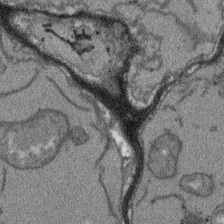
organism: Arabidopsis thaliana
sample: Root tip